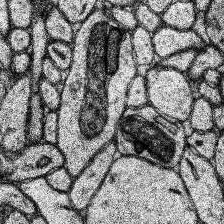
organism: Human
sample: Temporal Lobe